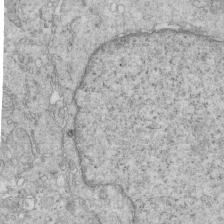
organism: Mouse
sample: Multiciliated cells